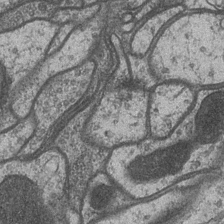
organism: Drosophila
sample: Optic medulla